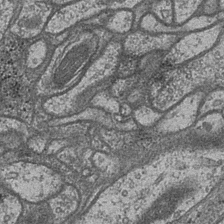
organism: Drosophila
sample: Optic medulla